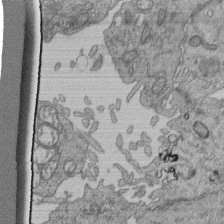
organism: Human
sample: Retinal organoid Rod and Cone cells